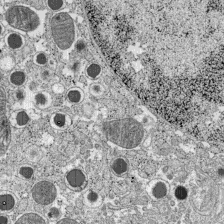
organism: C57BL Mouse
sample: Pancreatic islet